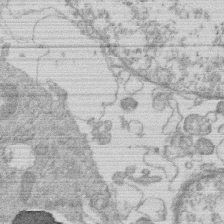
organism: Human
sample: Macrophage cells